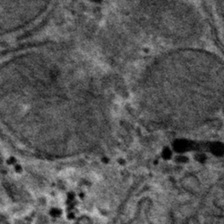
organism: Mouse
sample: Mouse hepatocytes